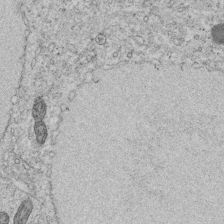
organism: C. elegans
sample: C. elegans embryo early stage